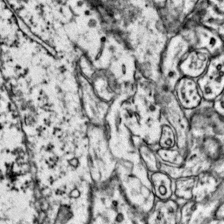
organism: Mouse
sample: Primary visual cortex